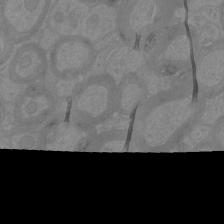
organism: Mouse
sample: Cortical neurons